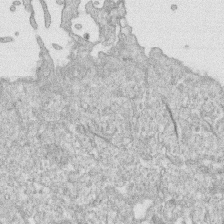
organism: Human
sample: HeLa cell HIV synapse